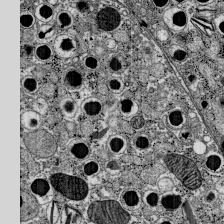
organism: C57BL Mouse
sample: Pancreatic islet